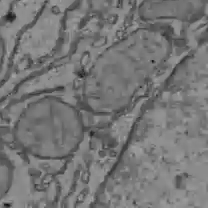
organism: C57BL Mouse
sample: Liver